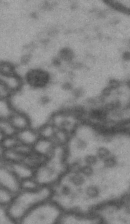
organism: Drosophila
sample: Brain